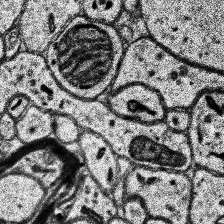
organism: Human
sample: Temporal Lobe